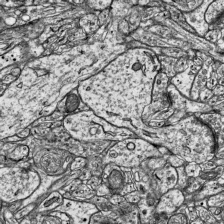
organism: Mouse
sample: Visual Cortex